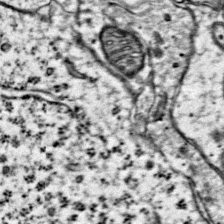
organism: Mouse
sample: Primary visual cortex